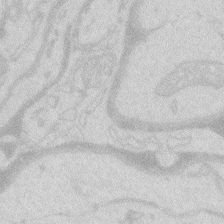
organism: Zebrafish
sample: Macrophage